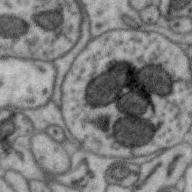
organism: Zebra finch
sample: Brain